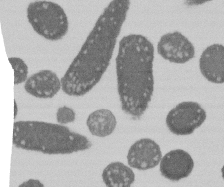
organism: E. coli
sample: Bacterial nucleoid